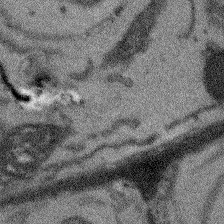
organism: Arabidopsis thaliana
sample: Root tip